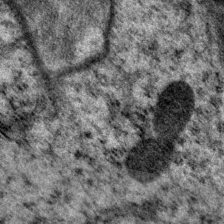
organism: P. pacificus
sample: Pharynx